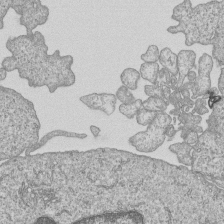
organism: Human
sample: MDA-MB-231 cells